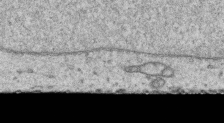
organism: Human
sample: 1205lu cells